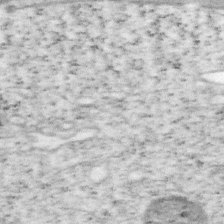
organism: Mouse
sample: OT-I killer T cells with ID8 ovarian cancer cells